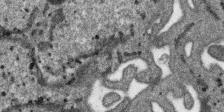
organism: Human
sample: Lung epithelial cells infected with SARS-CoV-2